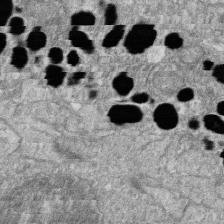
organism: Zebrafish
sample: Cilia; retinal pigment epithelium